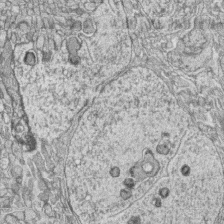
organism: Zebrafish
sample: synaptic ribbons in rod cells and cone cells